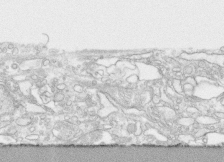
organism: Human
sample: CRL-1474